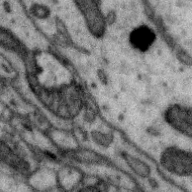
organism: Zebra finch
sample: Brain